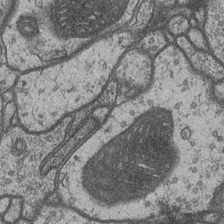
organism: Drosophila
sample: Optic medulla